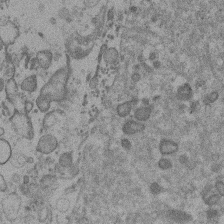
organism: Mouse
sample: Dividing mouse embryo 1 cell stage